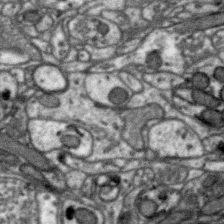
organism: Zebra finch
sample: Brain